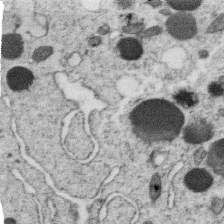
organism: C. elegans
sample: C. elegans oocyte; sperm cells